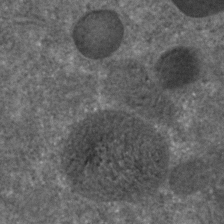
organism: C. elegans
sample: C. elegans embryo